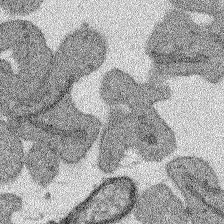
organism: Human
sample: HeLa cells